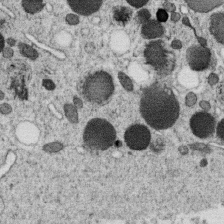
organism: C. elegans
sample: C. elegans oocyte; sperm cells